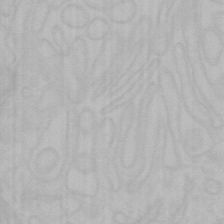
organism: Mouse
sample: Choroid plexus